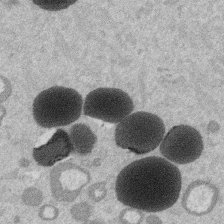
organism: Mouse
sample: Dividing mouse embryo 1 cell stage